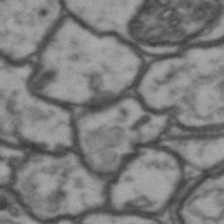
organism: Drosophila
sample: Brain